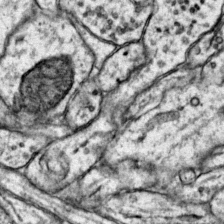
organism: Mouse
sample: Primary visual cortex